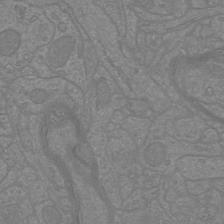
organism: Mouse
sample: Cortical neurons